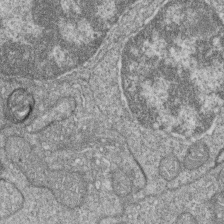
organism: Zebrafish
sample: Cilia; retinal pigment epithelium